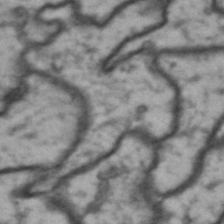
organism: Drosophila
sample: Brain